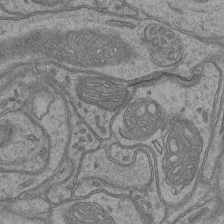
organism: Mouse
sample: CA1 Hippocampus